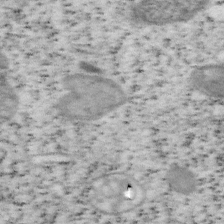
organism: Mouse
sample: OT-I killer T cells with ID8 ovarian cancer cells